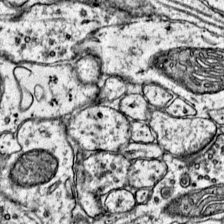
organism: Mouse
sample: Primary visual cortex